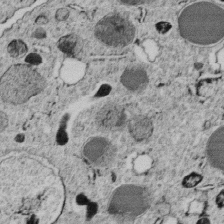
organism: C. elegans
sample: C. elegans embryo early stage